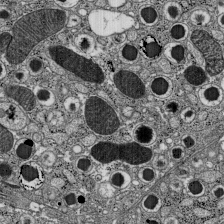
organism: C57BL Mouse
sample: Pancreatic islet